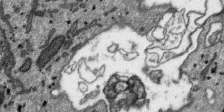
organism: Human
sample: Lung epithelial cells, uninfected (mock) control